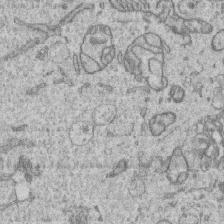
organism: Human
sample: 1205lu cells